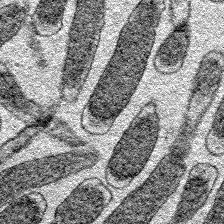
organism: E. coli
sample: E. Coli Bacteria